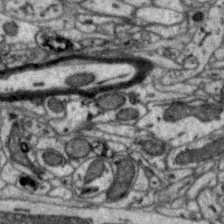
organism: Zebra finch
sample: Brain